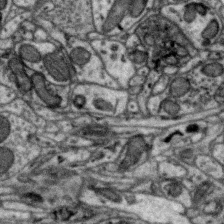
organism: Zebra finch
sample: Brain